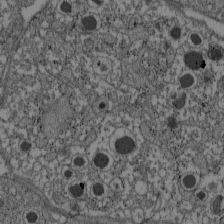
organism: C57BL Mouse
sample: Pancreatic islet